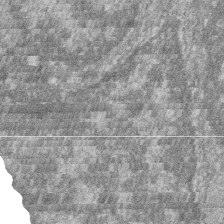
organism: Zebrafish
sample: Cilia; retinal pigment epithelium